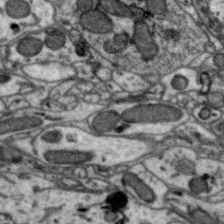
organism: Zebra finch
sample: Brain